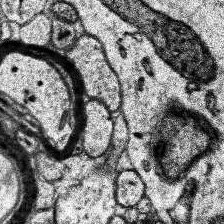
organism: Human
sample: Temporal Lobe